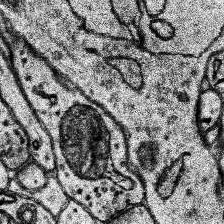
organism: Human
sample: Temporal Lobe